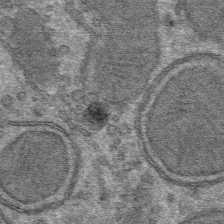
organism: Mouse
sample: Mouse hepatocytes